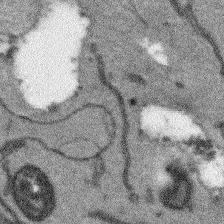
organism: Arabidopsis thaliana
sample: Root tip